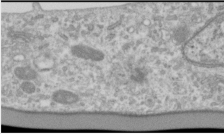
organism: Human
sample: Cilia; basal body in RPE cells